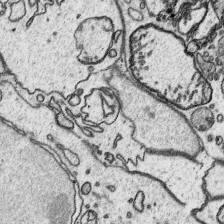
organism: Platynereis dumerilii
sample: Parapodia